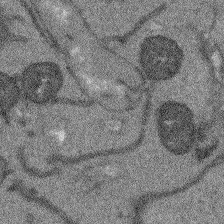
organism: Arabidopsis thaliana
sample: Root tip